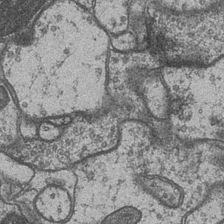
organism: Drosophila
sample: Optic medulla